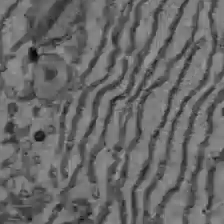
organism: C57BL Mouse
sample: Liver